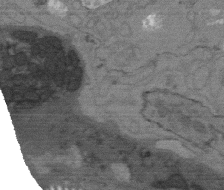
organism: C. elegans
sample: AFD neurons C. elegans